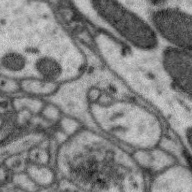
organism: Zebra finch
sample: Brain